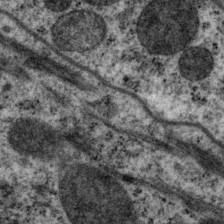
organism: P. pacificus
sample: Pharynx